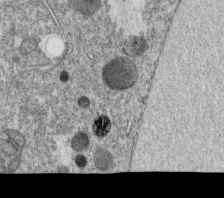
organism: C. elegans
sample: C. elegans oocyte; sperm cells